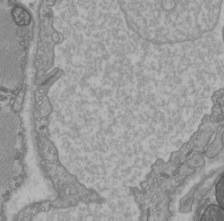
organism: C57BL Mouse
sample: Heart